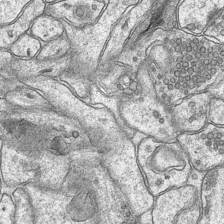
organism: Mouse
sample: CA1 Hippocampus